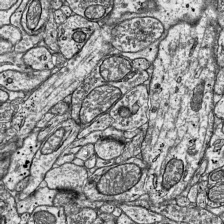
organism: Mouse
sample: Visual Cortex